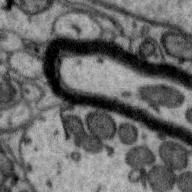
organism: Zebra finch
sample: Brain